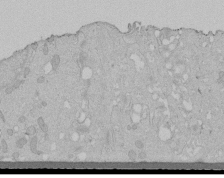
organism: Human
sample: Melanocyte Keratinocyte synapse skin construct